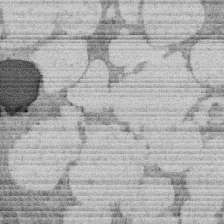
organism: Rat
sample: Salivary granule